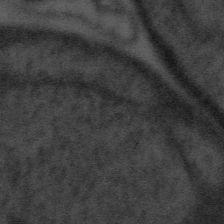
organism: Tuwongella immobilis